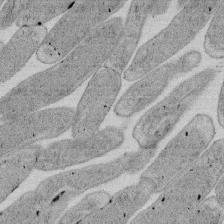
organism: E. coli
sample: Bacterial nucleoid